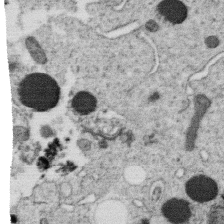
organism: C. elegans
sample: C. elegans oocyte; sperm cells